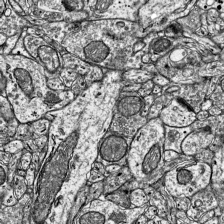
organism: Mouse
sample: Visual Cortex